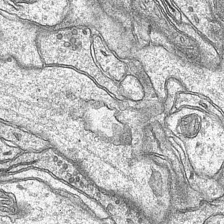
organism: Mouse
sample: CA1 Hippocampus